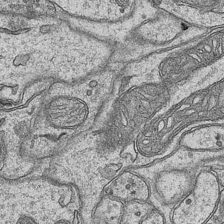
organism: Mouse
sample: CA1 Hippocampus